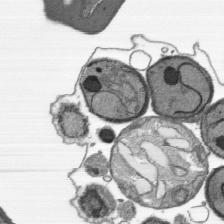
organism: Plasmodium falciparum